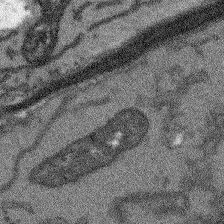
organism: Arabidopsis thaliana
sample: Root tip